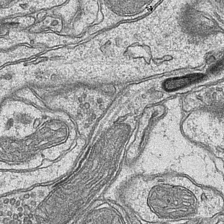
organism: Mouse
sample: CA1 Hippocampus